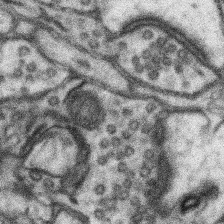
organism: Mouse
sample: Somatosensory cortex neuropil